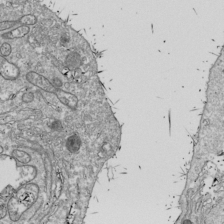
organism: Drosophila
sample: Cell division; meiosis; drosophila spermatocytes